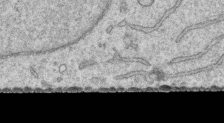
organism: Human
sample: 1205lu cells